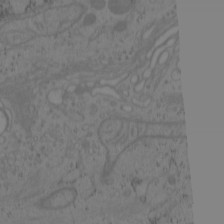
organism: Human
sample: HeLa cells